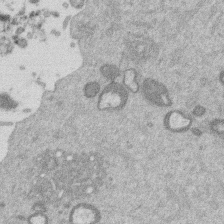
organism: Mouse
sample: Dividing mouse embryo 1 cell stage